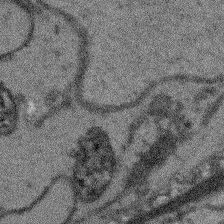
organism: Arabidopsis thaliana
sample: Root tip